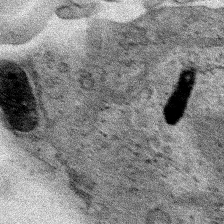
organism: Human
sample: Mitochondria in HCT116 cells